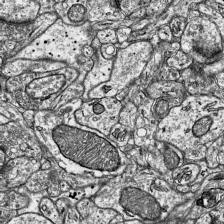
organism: Mouse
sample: Visual Cortex